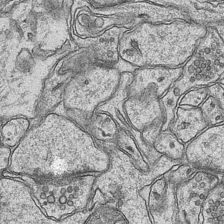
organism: Mouse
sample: CA1 Hippocampus